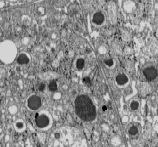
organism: C57BL Mouse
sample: Pancreatic islet